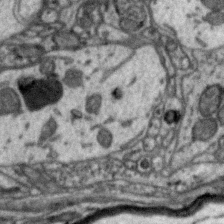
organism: Zebra finch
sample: Brain